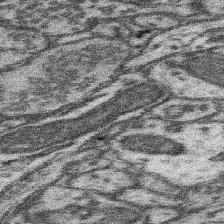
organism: Mouse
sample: Somatosensory cortex neuropil